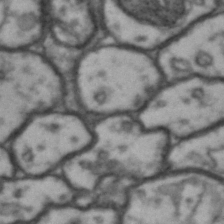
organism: Drosophila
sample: Brain